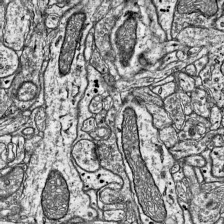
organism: Mouse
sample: Visual Cortex